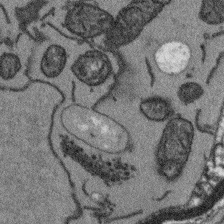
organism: Arabidopsis thaliana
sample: Root tip